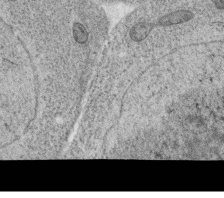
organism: C. elegans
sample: C. elegans oocyte; sperm cells